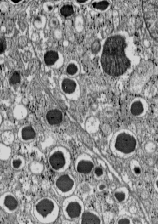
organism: C57BL Mouse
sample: Pancreatic islet